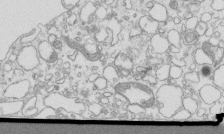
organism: Mouse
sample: Macrophages